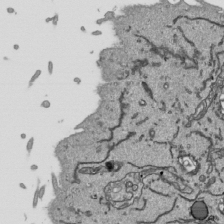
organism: Human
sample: Mitochondria in HCT116 cells